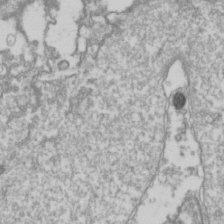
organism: Drosophila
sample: Cell division; meiosis; drosophila spermatocytes